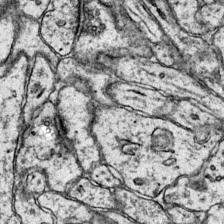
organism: Mouse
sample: Primary visual cortex